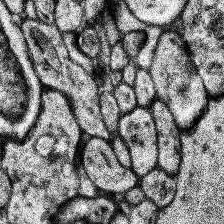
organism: Human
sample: Temporal Lobe